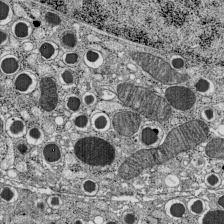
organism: C57BL Mouse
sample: Pancreatic islet